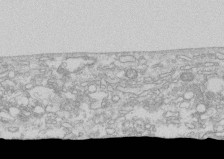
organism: Human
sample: CRL-1474